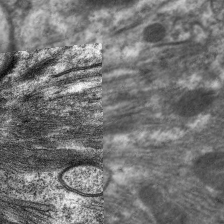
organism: C. elegans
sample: Pharynx